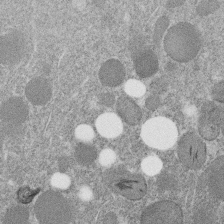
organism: C. elegans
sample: C. elegans embryo early stage